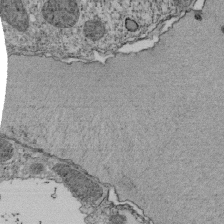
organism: Tetrahymena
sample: Cilia in tetrahymena